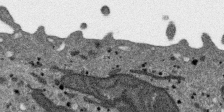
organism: Human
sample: Lung epithelial cells, uninfected (mock) control